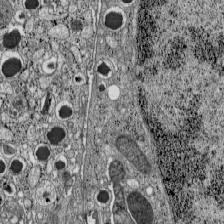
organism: C57BL Mouse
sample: Pancreatic islet